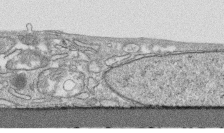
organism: Human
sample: CRL-1474